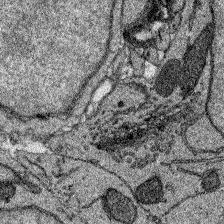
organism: Zebrafish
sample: Larval olfactory bulb